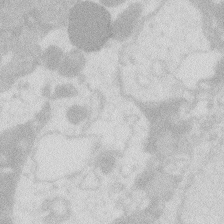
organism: Zebrafish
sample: Macrophage